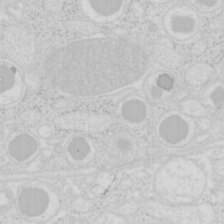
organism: Mouse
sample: Pancreas